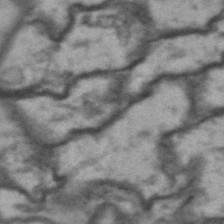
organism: Drosophila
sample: Brain